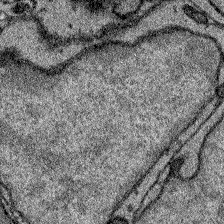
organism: Zebrafish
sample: Larval olfactory bulb